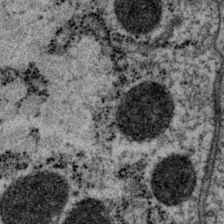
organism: P. pacificus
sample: Pharynx